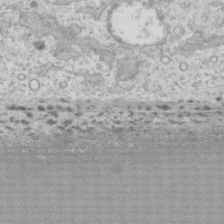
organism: Human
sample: CRL-1474